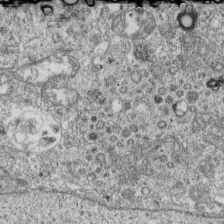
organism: Human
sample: HeLa cell HIV synapse